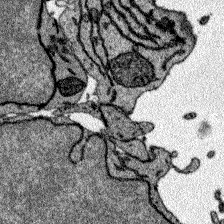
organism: Zebrafish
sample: Larval olfactory bulb